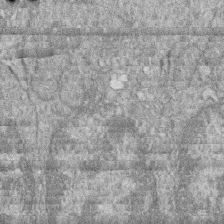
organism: Zebrafish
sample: Cilia; retinal pigment epithelium